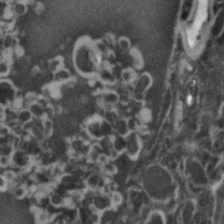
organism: Zebrafish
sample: Zebrafish embryo